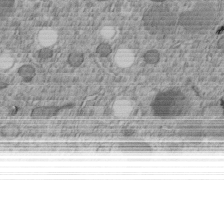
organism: C. elegans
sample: C. elegans embryo early stage